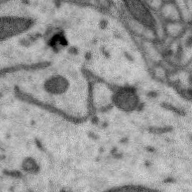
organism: Zebra finch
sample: Brain